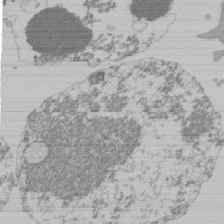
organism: Mouse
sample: Activated Pmel transgenic CD8+ T Cells